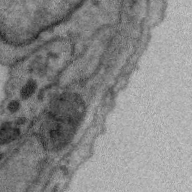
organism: Zebra finch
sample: Brain